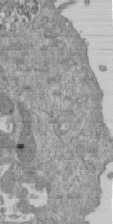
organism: Mouse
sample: ED-1 cell nuclei; centrioles